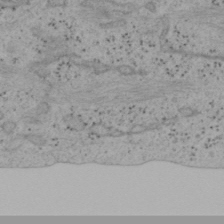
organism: Human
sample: HeLa cells